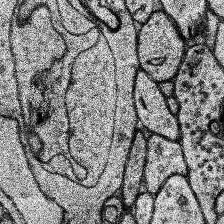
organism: Human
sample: Temporal Lobe